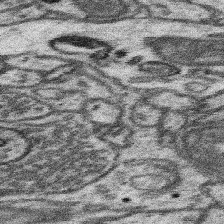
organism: Mouse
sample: Somatosensory cortex neuropil